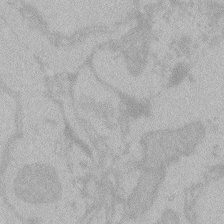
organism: Zebrafish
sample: Macrophage infected with Toxoplasma gondii